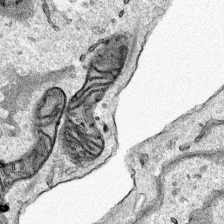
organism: Human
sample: Mitochondria in HCT116 cells